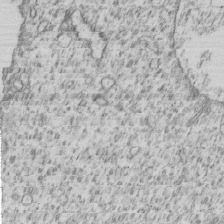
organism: Human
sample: MDA-MB-231 cells